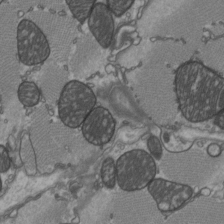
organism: C57BL Mouse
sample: Heart